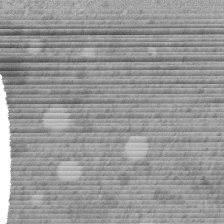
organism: C. elegans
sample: C. elegans embryo early stage